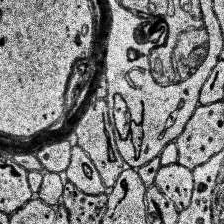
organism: Human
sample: Temporal Lobe